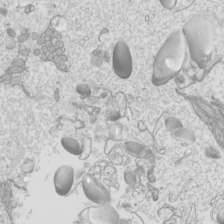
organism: Mouse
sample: Cilia; mouse epididymis